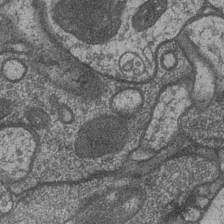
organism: Drosophila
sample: Optic medulla